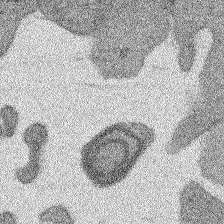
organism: Human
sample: HeLa cells